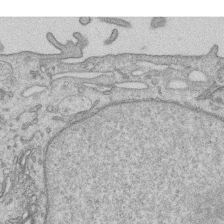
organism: Human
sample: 1205lu cells